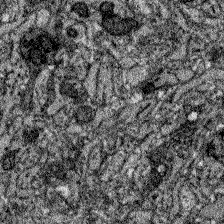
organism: Zebrafish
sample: Larval olfactory bulb